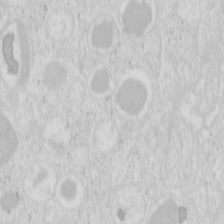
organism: Mouse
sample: Pancreas